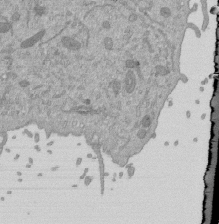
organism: Mouse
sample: ED-1 cell nuclei; centrioles